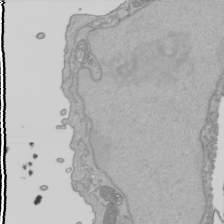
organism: Human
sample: Mitochondria in HCT116 cells